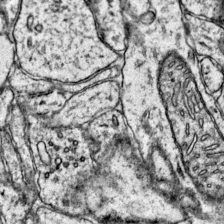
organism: Mouse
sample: Primary visual cortex